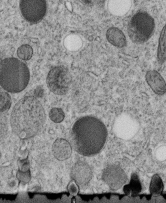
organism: C. elegans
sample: C. elegans embryo early stage